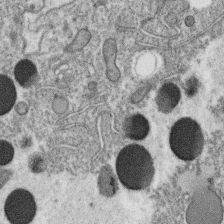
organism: C. elegans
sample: C. elegans oocyte; sperm cells